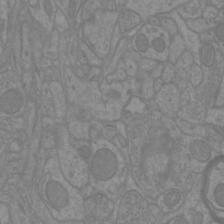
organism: Mouse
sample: Cortical neurons